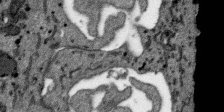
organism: Human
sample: Lung epithelial cells, uninfected (mock) control